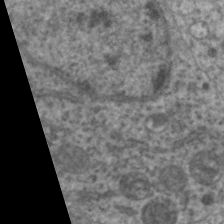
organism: C. elegans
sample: Pharynx